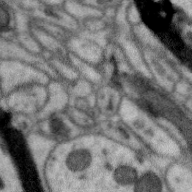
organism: Zebra finch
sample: Brain